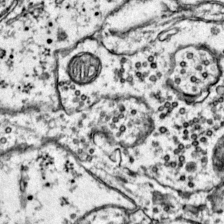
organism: Mouse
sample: Primary visual cortex